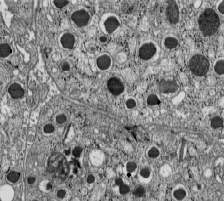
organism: C57BL Mouse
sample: Pancreatic islet